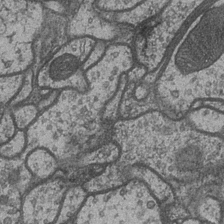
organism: Drosophila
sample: Optic medulla